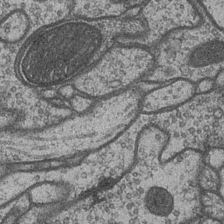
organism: Drosophila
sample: Optic medulla